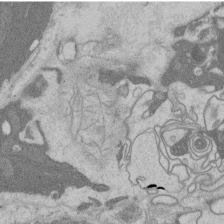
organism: Rat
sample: Salivary granule